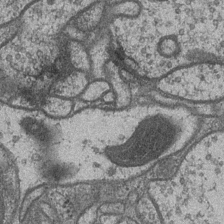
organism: Drosophila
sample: Optic medulla